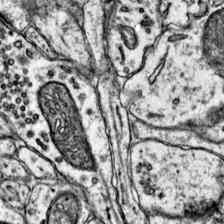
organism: Mouse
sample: Primary visual cortex